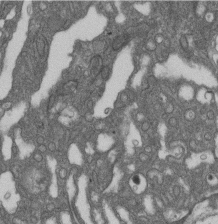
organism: Drosophila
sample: Nephrocyte